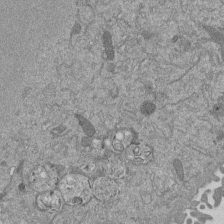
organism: Mouse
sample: ED-1 cell nuclei; centrioles